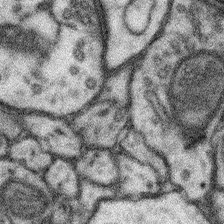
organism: Mouse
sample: Somatosensory cortex neuropil